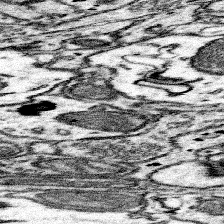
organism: Mouse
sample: Somatosensory cortex neuropil